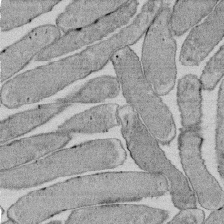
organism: E. coli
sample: Bacterial nucleoid